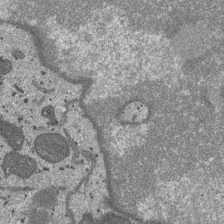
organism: Human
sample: Lung epithelial cells infected with SARS-CoV-2